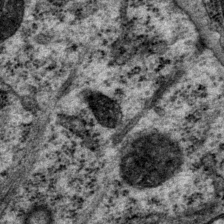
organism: P. pacificus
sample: Pharynx